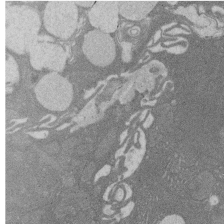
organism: Rat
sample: Salivary granule